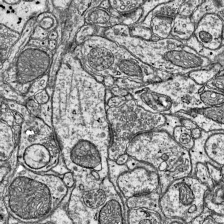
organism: Mouse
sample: Visual Cortex